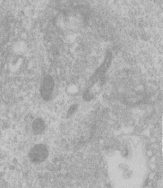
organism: Human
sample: Centriole in RPE cells